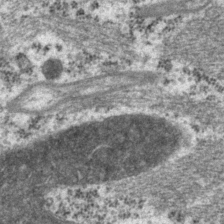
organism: P. pacificus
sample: Pharynx